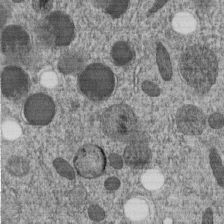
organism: C. elegans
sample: C. elegans embryo early stage